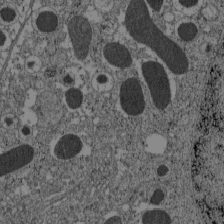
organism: C57BL Mouse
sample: Pancreatic islet